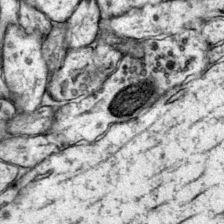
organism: Mouse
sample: Primary visual cortex